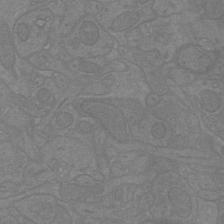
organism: Mouse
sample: Cortical neurons